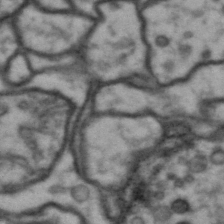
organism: Drosophila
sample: Brain